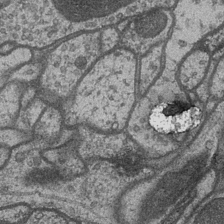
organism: Drosophila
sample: Optic medulla